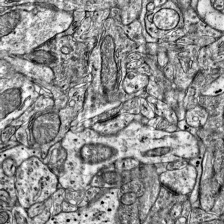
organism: Mouse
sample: Visual Cortex